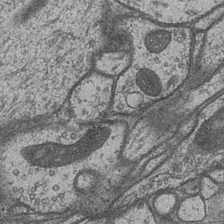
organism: Drosophila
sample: Optic medulla